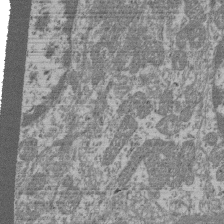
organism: Mouse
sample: Glomerulus